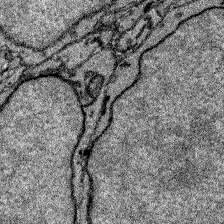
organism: Zebrafish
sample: Larval olfactory bulb